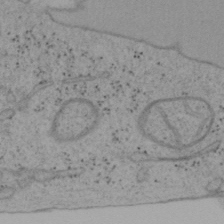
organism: Human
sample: HeLa cells